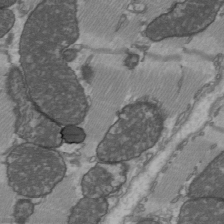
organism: C57BL Mouse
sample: Heart